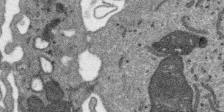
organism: Human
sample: Lung epithelial cells infected with SARS-CoV-2